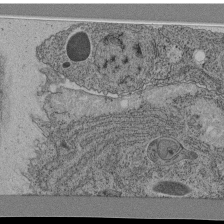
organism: C. elegans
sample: C. elegans pharynx